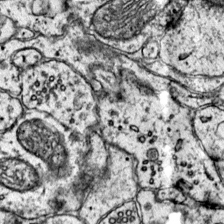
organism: Mouse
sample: Primary visual cortex